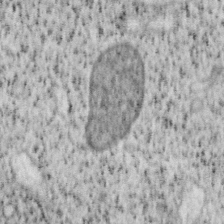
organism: Mouse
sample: OT-I killer T cells with ID8 ovarian cancer cells